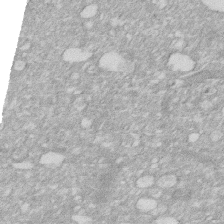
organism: Human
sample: HIV infected U937 cells